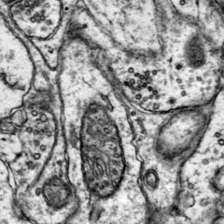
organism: Mouse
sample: Primary visual cortex